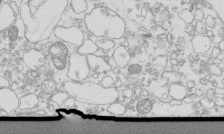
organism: Mouse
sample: Macrophages